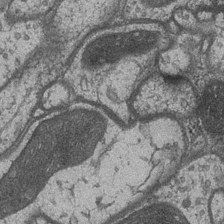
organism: Drosophila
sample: Optic medulla